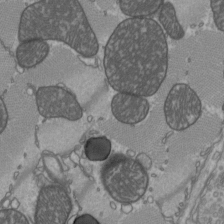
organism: C57BL Mouse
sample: Heart